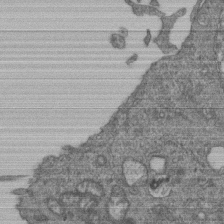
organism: Human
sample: Retinal organoid Rod and Cone cells